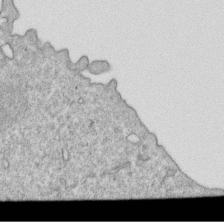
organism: Mouse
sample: Activated OT-1 CD8+ T cells